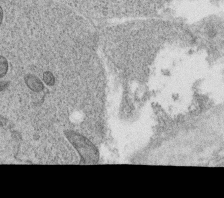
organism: C. elegans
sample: C. elegans oocyte; sperm cells